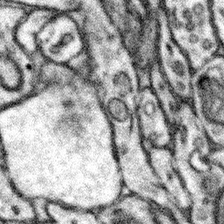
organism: Mouse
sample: Somatosensory cortex neuropil